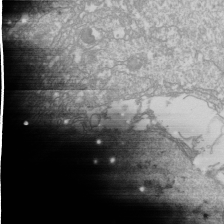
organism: Drosophila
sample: Cell division; meiosis; drosophila spermatocytes